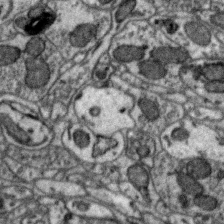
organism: Zebra finch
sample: Brain